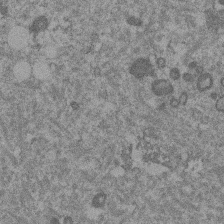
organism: Mouse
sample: Dividing mouse embryo 1 cell stage